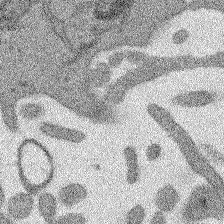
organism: Human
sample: HeLa cells